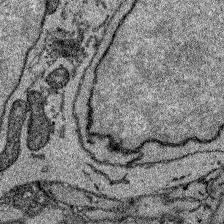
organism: Zebrafish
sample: Larval olfactory bulb